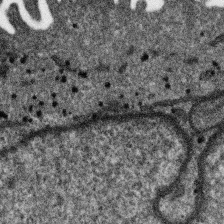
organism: Human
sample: Lung epithelial cells infected with SARS-CoV-2